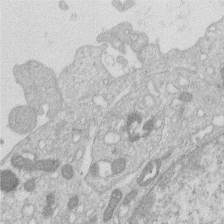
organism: Human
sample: Macrophage cells